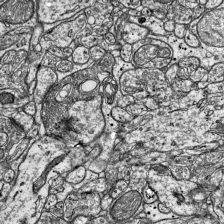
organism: Mouse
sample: Visual Cortex